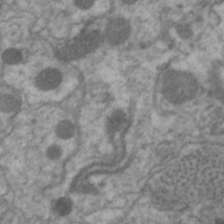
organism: C. elegans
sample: Pharynx